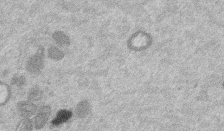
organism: Mouse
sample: Dividing mouse embryo 1 cell stage